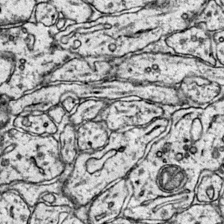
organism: Mouse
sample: Primary visual cortex